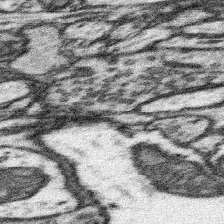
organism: Mouse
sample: Somatosensory cortex neuropil